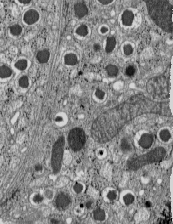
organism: C57BL Mouse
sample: Pancreatic islet